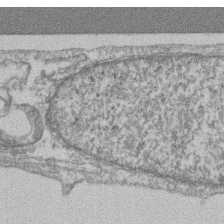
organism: Mouse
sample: T cell stromal cell synapse